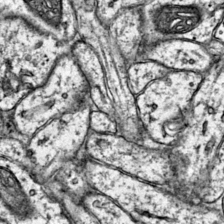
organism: Mouse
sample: Primary visual cortex